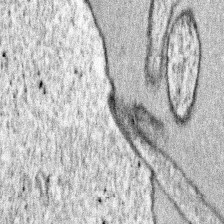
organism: Human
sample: HeLa cells